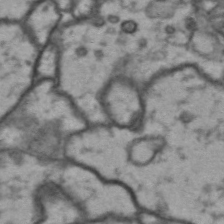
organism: Drosophila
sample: Brain